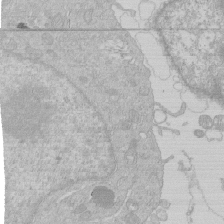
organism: Human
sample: Macrophage cells